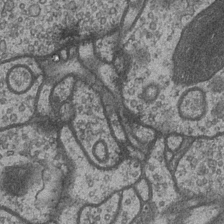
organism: Drosophila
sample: Optic medulla